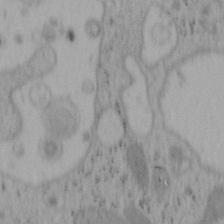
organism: Mouse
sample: OT-I killer T cells with ID8 ovarian cancer cells